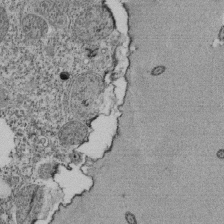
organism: Tetrahymena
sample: Cilia in tetrahymena